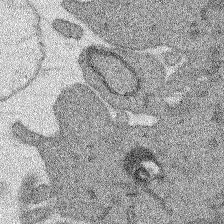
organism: Human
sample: HeLa cells